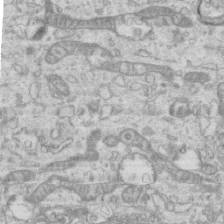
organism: Mouse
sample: Centriole in ependymal cells